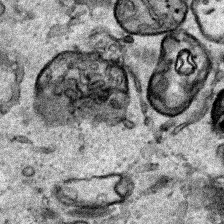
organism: Human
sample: Mitochondria in HCT116 cells